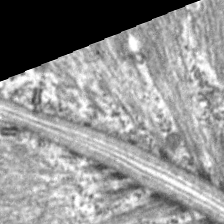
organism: C. elegans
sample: Pharynx